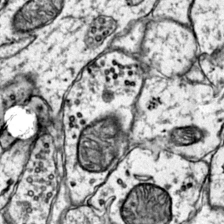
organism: Mouse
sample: Primary visual cortex